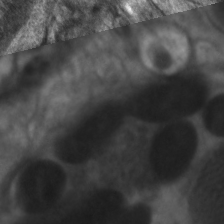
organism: C. elegans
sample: Pharynx